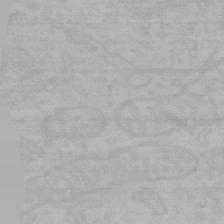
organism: Mouse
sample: Choroid plexus